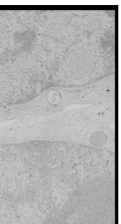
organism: Human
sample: Mitochondria in HCT116 cells